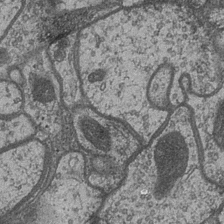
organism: Drosophila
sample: Optic medulla